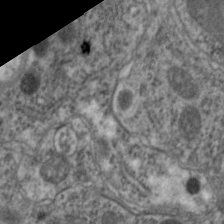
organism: C. elegans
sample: Pharynx